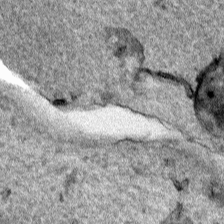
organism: Human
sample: Mitochondria in HCT116 cells